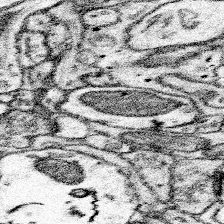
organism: Mouse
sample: Somatosensory cortex neuropil